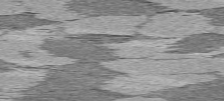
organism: C57BL Mouse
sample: Heart